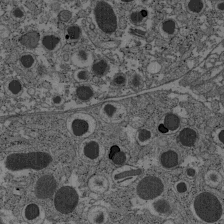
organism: C57BL Mouse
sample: Pancreatic islet